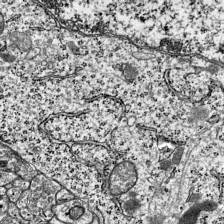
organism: Mouse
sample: Visual Cortex